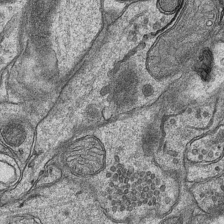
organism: Mouse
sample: CA1 Hippocampus